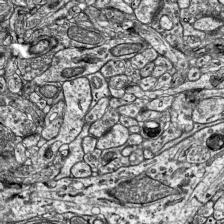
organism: Mouse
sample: Visual Cortex